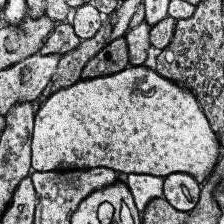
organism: Human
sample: Temporal Lobe